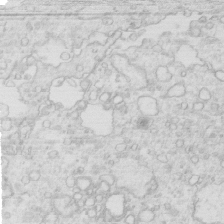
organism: Mouse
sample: Multiciliated cells